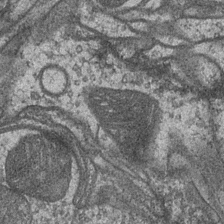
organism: Drosophila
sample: Optic medulla